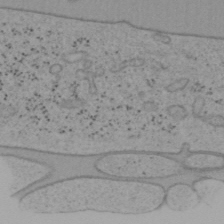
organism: Human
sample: HeLa cells